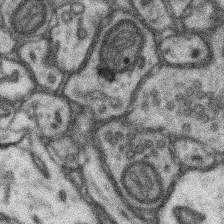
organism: Mouse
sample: Somatosensory cortex neuropil